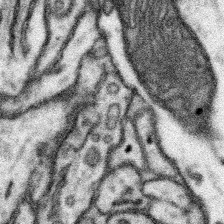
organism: Mouse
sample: Somatosensory cortex neuropil